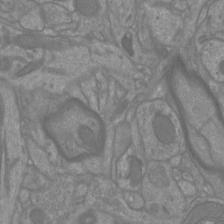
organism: Mouse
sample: Cortical neurons